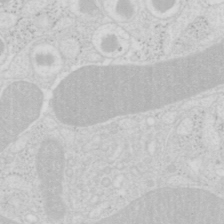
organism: Mouse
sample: Pancreas